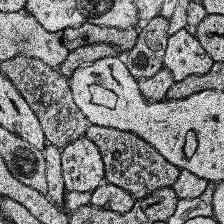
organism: Human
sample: Temporal Lobe